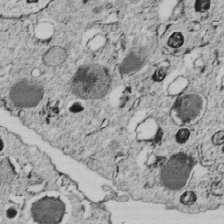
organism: C. elegans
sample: C. elegans embryo early stage